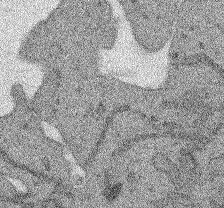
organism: Human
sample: HeLa cells